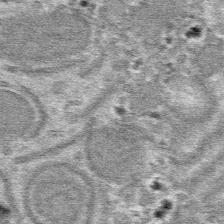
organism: Mouse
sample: Mouse hepatocytes